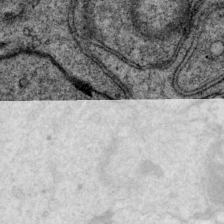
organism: P. pacificus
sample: Pharynx